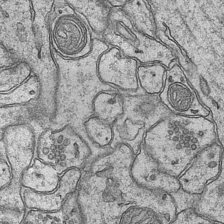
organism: Mouse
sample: CA1 Hippocampus